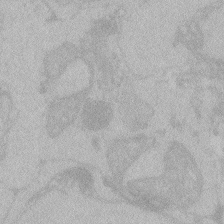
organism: Zebrafish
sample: Macrophage infected with Toxoplasma gondii